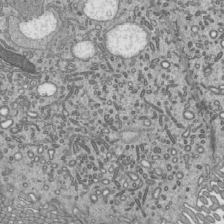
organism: Mouse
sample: Mouse epididymis efferent ductule cilia